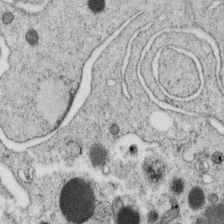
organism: C. elegans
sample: C. elegans oocyte; sperm cells